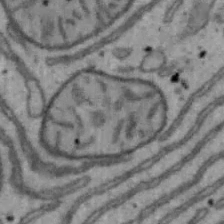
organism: Mouse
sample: Liver